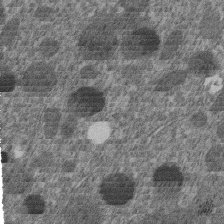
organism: C. elegans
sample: C. elegans embryo early stage